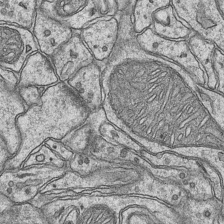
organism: Mouse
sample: CA1 Hippocampus